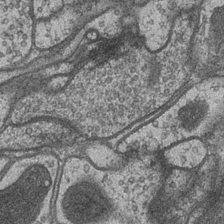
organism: Drosophila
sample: Optic medulla